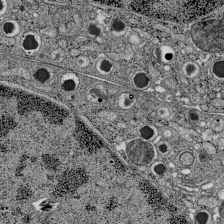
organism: C57BL Mouse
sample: Pancreatic islet